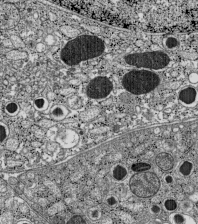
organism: C57BL Mouse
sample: Pancreatic islet